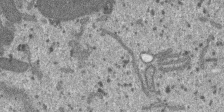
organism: Human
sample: Lung epithelial cells infected with SARS-CoV-2